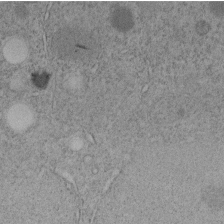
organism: C. elegans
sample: C. elegans embryo early stage